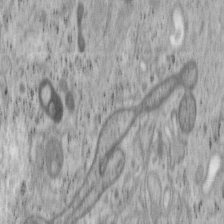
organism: Human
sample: HeLa cells